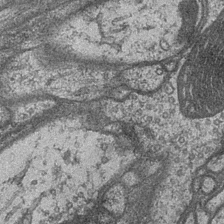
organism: Drosophila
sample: Optic medulla